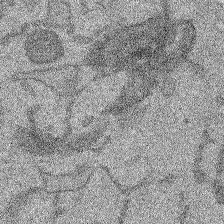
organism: Human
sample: HeLa cells